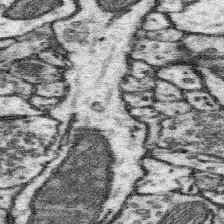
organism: Mouse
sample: Somatosensory cortex neuropil